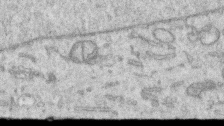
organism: Human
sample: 1205lu cells